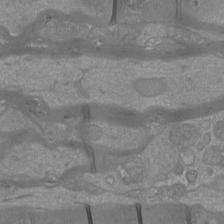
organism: Mouse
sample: Cortical neurons